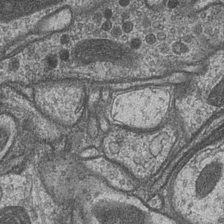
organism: Drosophila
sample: Optic medulla